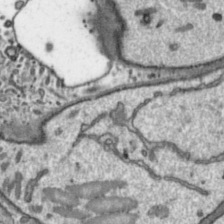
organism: Toxoplasma gondii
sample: Parasites in a vacuole inside a host cell